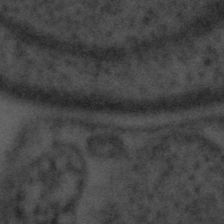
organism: Tuwongella immobilis